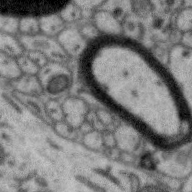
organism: Zebra finch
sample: Brain